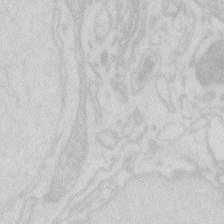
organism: Zebrafish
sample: Macrophage